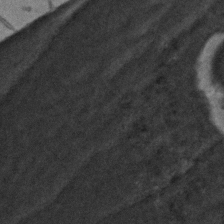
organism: Zebrafish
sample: Zebrafish embryo